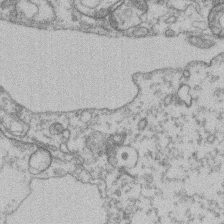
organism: Mouse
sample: T cell stromal cell synapse